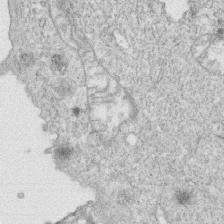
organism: Human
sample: HeLa cell HIV synapse